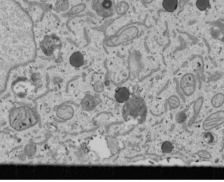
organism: Human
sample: Mitochondria in U2OS cells